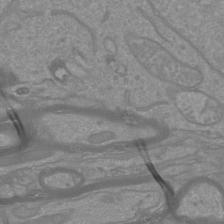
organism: Mouse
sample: Cortical neurons